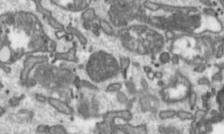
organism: Toxoplasma gondii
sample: Parasites in a vacuole inside a host cell